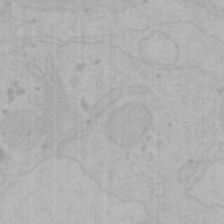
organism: Mouse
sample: Choroid plexus